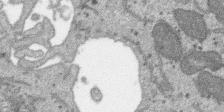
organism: Human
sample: Lung epithelial cells infected with SARS-CoV-2